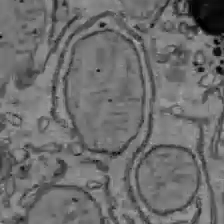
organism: C57BL Mouse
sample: Liver